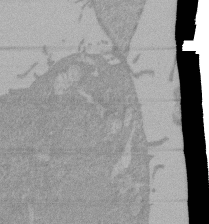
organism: Mouse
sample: ED-1 cell nuclei; centrioles